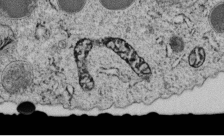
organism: C. elegans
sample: C. elegans embryo early stage